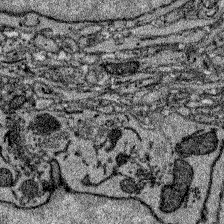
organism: Zebrafish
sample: Larval olfactory bulb